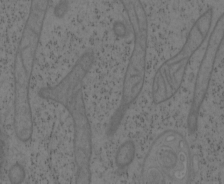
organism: Mouse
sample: OT-I killer T cells with ID8 ovarian cancer cells